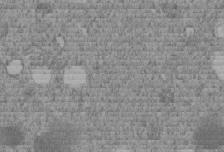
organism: C. elegans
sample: C. elegans embryo early stage